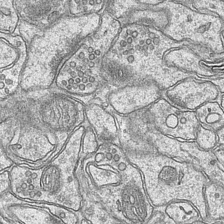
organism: Mouse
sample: CA1 Hippocampus